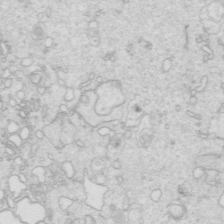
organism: Mouse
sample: Multiciliated cells